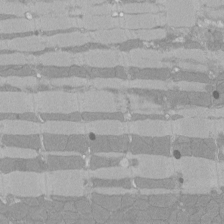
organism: Rat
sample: Left ventricle